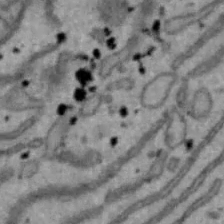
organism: Mouse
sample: Liver